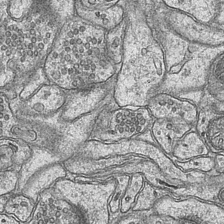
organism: Mouse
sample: CA1 Hippocampus